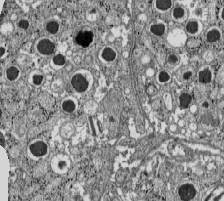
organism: C57BL Mouse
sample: Pancreatic islet